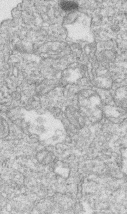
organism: Human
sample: HeLa cell HIV synapse